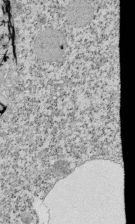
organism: Tetrahymena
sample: Cilia in tetrahymena